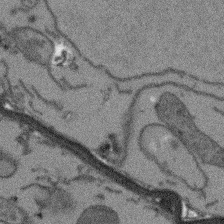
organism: Arabidopsis thaliana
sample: Root tip